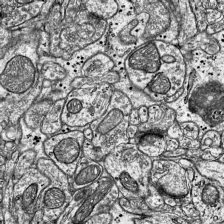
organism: Mouse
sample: Visual Cortex